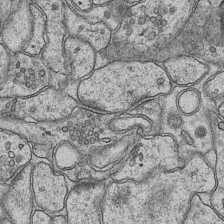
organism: Mouse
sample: CA1 Hippocampus